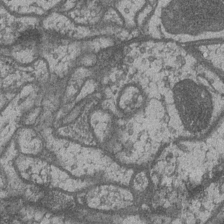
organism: Drosophila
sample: Optic medulla